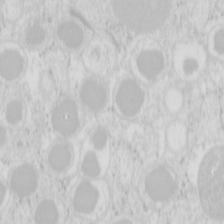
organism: Mouse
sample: Pancreas